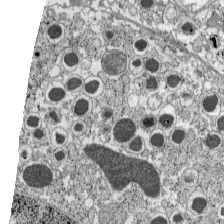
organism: C57BL Mouse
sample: Pancreatic islet